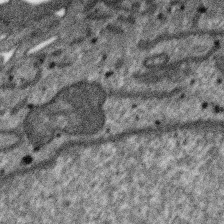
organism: Human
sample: Lung epithelial cells infected with SARS-CoV-2